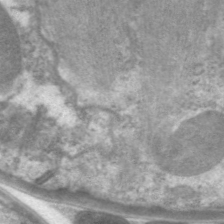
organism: C. elegans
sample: Pharynx